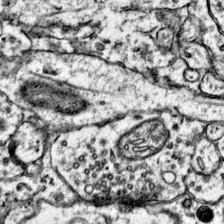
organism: Mouse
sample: Primary visual cortex